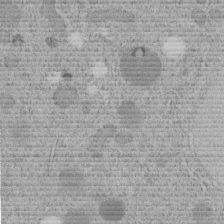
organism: C. elegans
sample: C. elegans embryo early stage